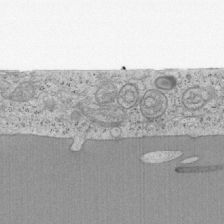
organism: Human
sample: HeLa cells